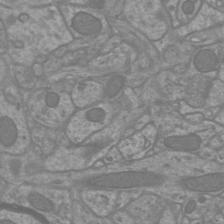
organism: Mouse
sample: Cortical neurons